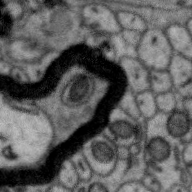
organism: Zebra finch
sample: Brain